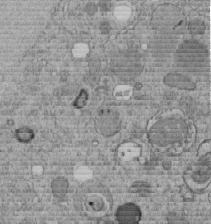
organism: C. elegans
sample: C. elegans embryo early stage